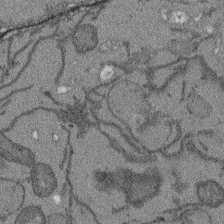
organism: Arabidopsis thaliana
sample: Root tip